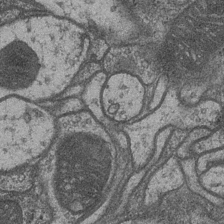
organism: Drosophila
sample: Optic medulla